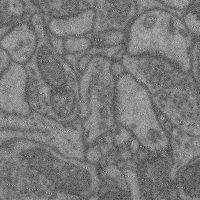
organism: Mouse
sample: Cerebral cortex